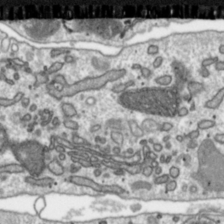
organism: Toxoplasma gondii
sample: Parasites in a vacuole inside a host cell